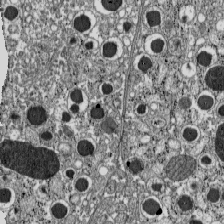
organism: C57BL Mouse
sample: Pancreatic islet